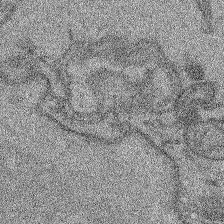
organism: Human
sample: HeLa cells